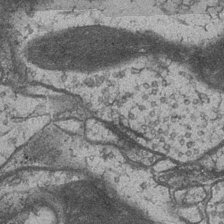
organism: Drosophila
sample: Optic medulla